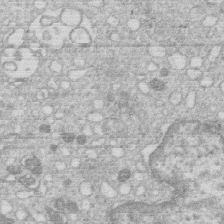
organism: Human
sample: Macrophage cells